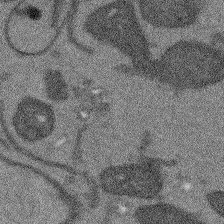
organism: Arabidopsis thaliana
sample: Root tip